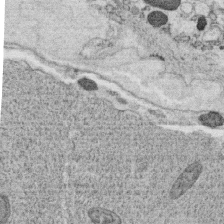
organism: C. elegans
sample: C. elegans oocyte; sperm cells